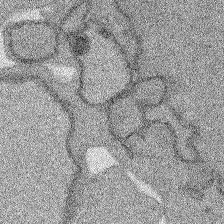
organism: Human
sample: HeLa cells